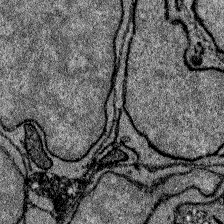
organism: Zebrafish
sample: Larval olfactory bulb